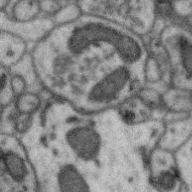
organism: Zebra finch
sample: Brain